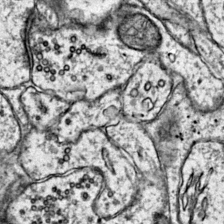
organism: Mouse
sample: Primary visual cortex